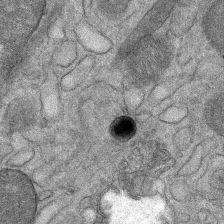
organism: Mouse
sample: Mouse Salivary gland